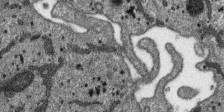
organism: Human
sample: Lung epithelial cells infected with SARS-CoV-2